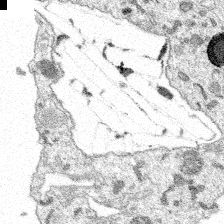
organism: Spongilla lacustris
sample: Multiple